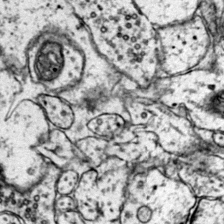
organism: Mouse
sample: Primary visual cortex